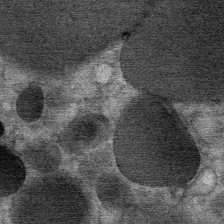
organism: Mouse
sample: Mouse Salivary gland